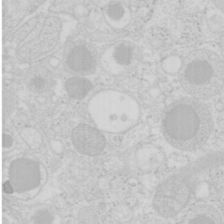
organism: Mouse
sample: Pancreas